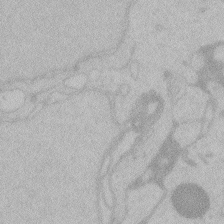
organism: Zebrafish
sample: Macrophage infected with Toxoplasma gondii